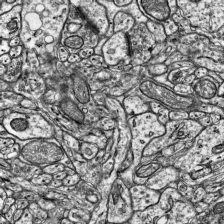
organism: Mouse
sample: Visual Cortex